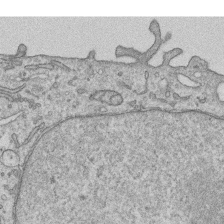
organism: Human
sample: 1205lu cells